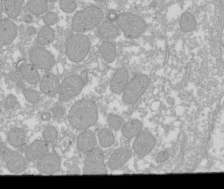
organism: Xenopus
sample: Cilia; centrioles in frog embryo cells